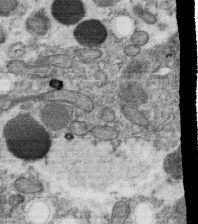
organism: C. elegans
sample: C. elegans oocyte; sperm cells